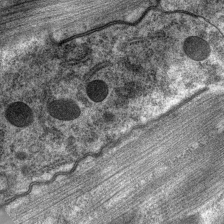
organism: C. elegans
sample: Pharynx